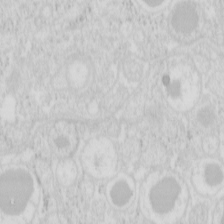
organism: Mouse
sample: Pancreas